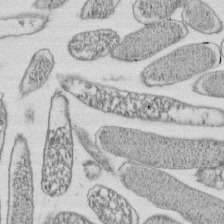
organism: E. coli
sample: Bacterial nucleoid